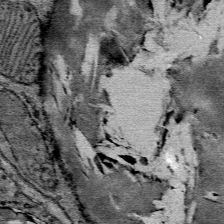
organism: Mouse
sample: Mouse Salivary gland